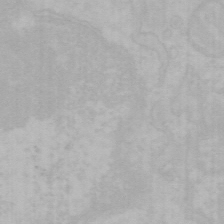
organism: Mouse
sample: Choroid plexus